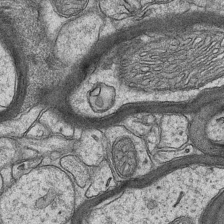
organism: Mouse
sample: CA1 Hippocampus